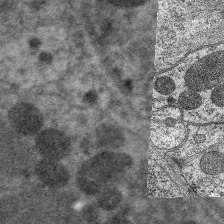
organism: C. elegans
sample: Pharynx